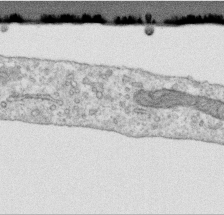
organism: Human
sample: Centriole in RPE cells